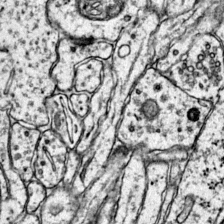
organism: Mouse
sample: Primary visual cortex